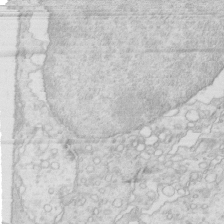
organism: Mouse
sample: Multiciliated cells